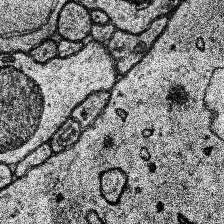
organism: Human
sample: Temporal Lobe